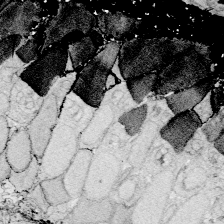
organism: Zebrafish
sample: Whole-Brain